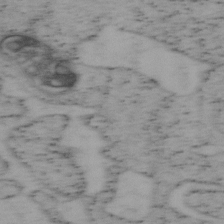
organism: Mouse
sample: OT-I killer T cells with ID8 ovarian cancer cells